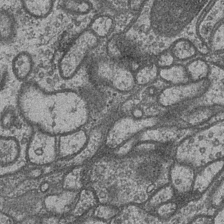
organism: Drosophila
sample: Optic medulla